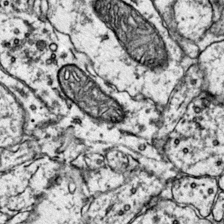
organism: Mouse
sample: Primary visual cortex